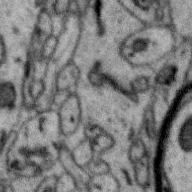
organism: Zebra finch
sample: Brain